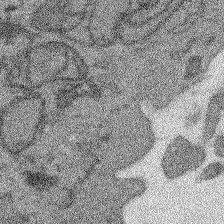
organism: Human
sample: HeLa cells